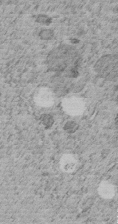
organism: C. elegans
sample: C. elegans embryo early stage